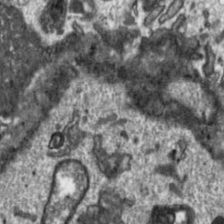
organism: Toxoplasma gondii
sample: Parasites in a vacuole inside a host cell